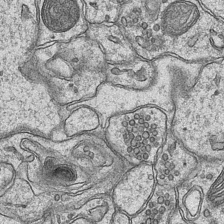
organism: Mouse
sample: CA1 Hippocampus